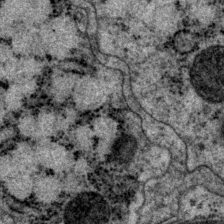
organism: P. pacificus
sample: Pharynx